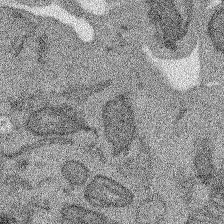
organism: Human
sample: HeLa cells